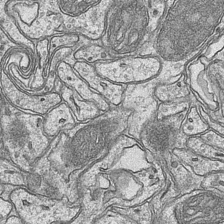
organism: Mouse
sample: CA1 Hippocampus